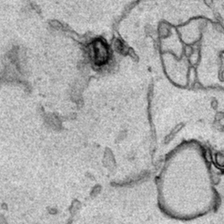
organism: Human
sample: Mitochondria in HCT116 cells